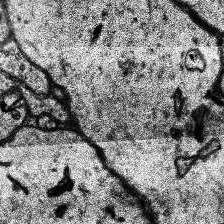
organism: Human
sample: Temporal Lobe